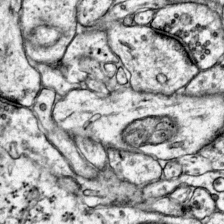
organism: Mouse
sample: Primary visual cortex